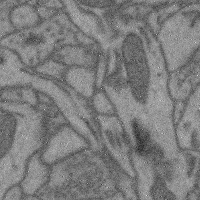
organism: Mouse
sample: Cerebral cortex